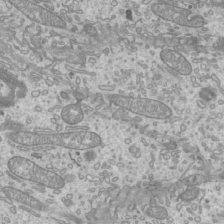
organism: Mouse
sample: Cilia; mouse epididymis